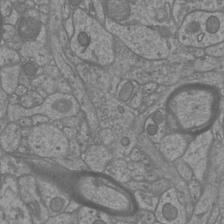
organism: Mouse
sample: Cortical neurons